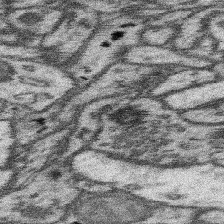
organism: Mouse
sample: Somatosensory cortex neuropil